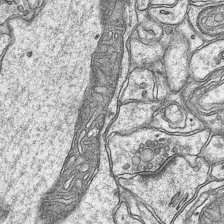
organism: Mouse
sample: CA1 Hippocampus